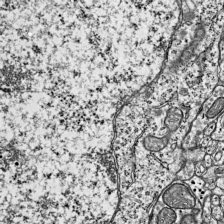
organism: Mouse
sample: Visual Cortex